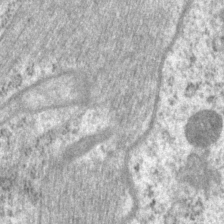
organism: P. pacificus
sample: Pharynx